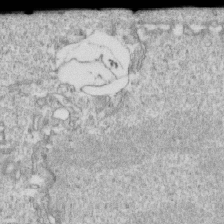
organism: Mouse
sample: Activated OT-1 CD8+ T cells